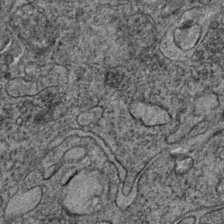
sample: Trachea